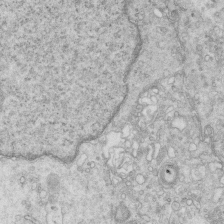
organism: Mouse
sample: Multiciliated cells